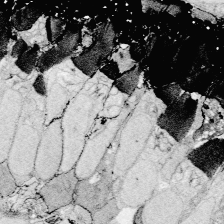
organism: Zebrafish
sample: Whole-Brain